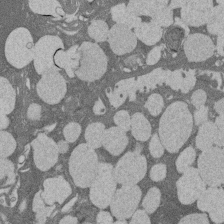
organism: Rat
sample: Salivary granule